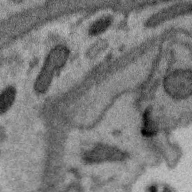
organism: Zebra finch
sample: Brain